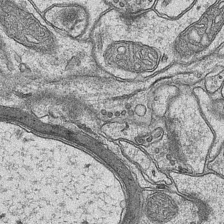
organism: Mouse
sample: CA1 Hippocampus